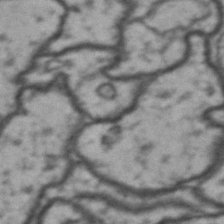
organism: Drosophila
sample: Brain